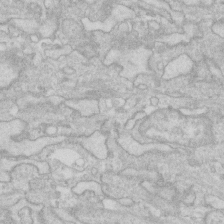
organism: Human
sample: Fibroblast cells